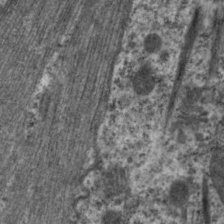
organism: C. elegans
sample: Pharynx